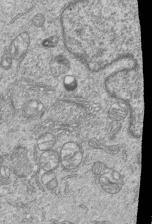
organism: Human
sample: MDA-MB-231 cells